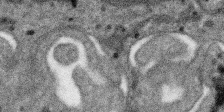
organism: Human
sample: Lung epithelial cells infected with SARS-CoV-2